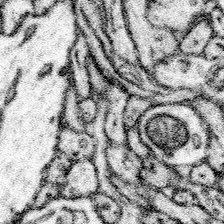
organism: Mouse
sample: Somatosensory cortex neuropil